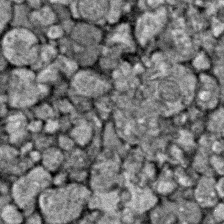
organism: Zebrafish